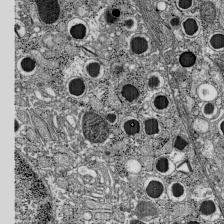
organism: C57BL Mouse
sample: Pancreatic islet